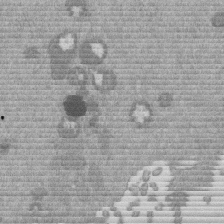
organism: Mouse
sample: Dividing mouse embryo 1 cell stage